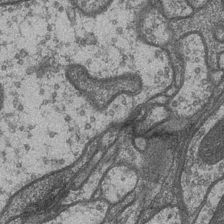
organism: Drosophila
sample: Optic medulla